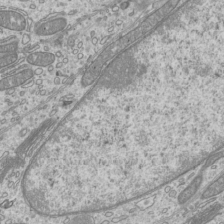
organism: Mouse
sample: Cilia; mouse epididymis